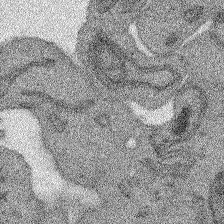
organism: Human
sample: HeLa cells